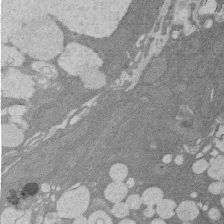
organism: Rat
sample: Salivary granule